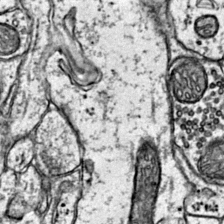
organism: Mouse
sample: Primary visual cortex